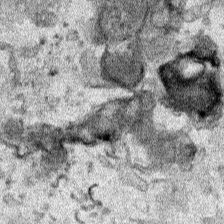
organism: Human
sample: Mitochondria in HCT116 cells